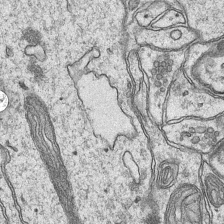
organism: Mouse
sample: CA1 Hippocampus